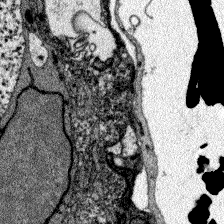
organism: Zebrafish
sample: Larval olfactory bulb